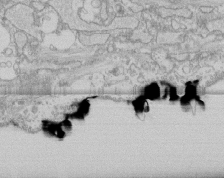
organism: Human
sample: CRL-1474